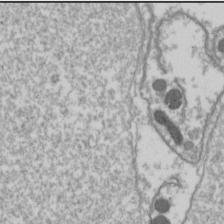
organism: Drosophila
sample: Cell division; meiosis; drosophila spermatocytes